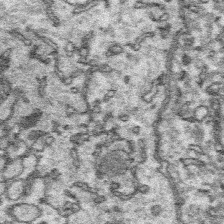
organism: Platynereis dumerilii